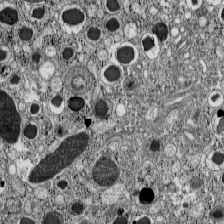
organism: C57BL Mouse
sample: Pancreatic islet